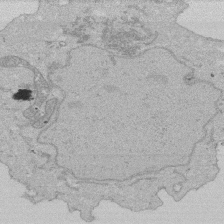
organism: Human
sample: Activated Jurkat CD4+ T cells